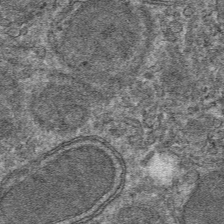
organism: Mouse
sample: Mouse hepatocytes